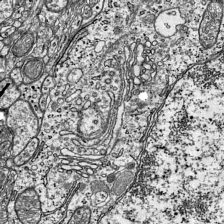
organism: Mouse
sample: Visual Cortex